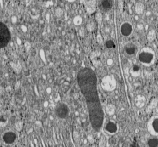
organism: C57BL Mouse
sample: Pancreatic islet